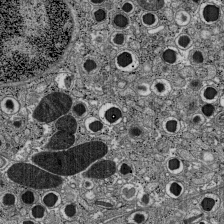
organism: C57BL Mouse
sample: Pancreatic islet